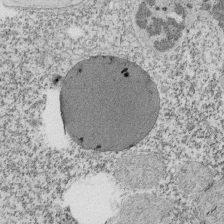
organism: Tetrahymena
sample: Cilia in tetrahymena